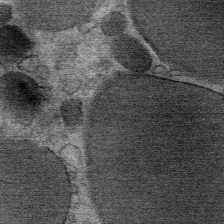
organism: Mouse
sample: Mouse Salivary gland